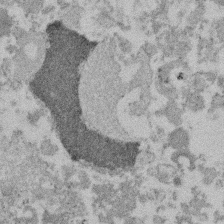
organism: Mouse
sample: Dividing mouse embryo 1 cell stage